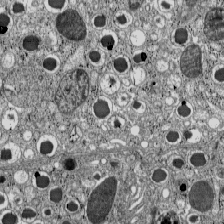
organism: C57BL Mouse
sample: Pancreatic islet